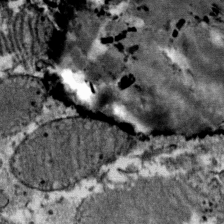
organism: Mouse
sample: Mouse Salivary gland